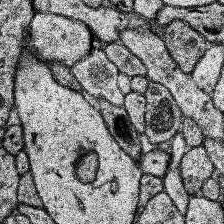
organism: Human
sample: Temporal Lobe